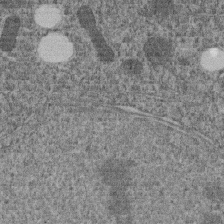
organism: C. elegans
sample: C. elegans embryo early stage